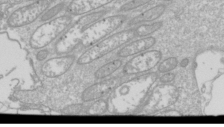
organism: Drosophila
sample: Cell division; meiosis; drosophila spermatocytes